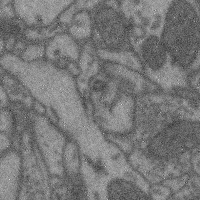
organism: Mouse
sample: Cerebral cortex